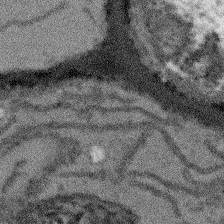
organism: Arabidopsis thaliana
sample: Root tip